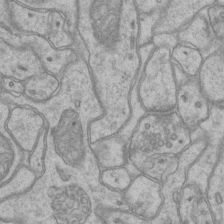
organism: Mouse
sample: CA1 Hippocampus